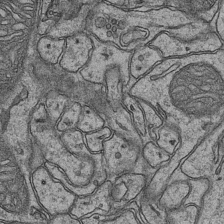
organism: Mouse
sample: CA1 Hippocampus